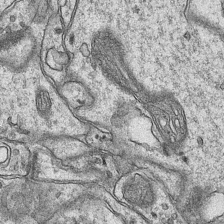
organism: Mouse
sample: CA1 Hippocampus